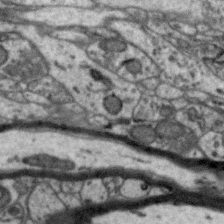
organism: Zebra finch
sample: Brain